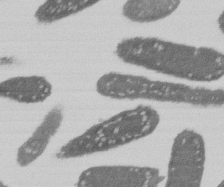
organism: E. coli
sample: Bacterial nucleoid